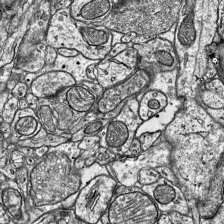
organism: Mouse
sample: Visual Cortex